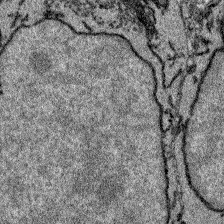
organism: Zebrafish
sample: Larval olfactory bulb